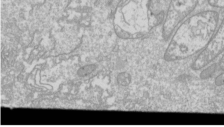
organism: Drosophila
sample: Cell division; meiosis; drosophila spermatocytes